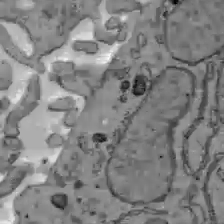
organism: C57BL Mouse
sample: Liver